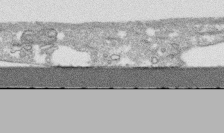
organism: Human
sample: CRL-1474